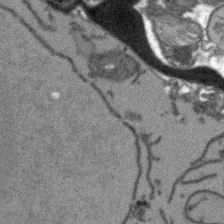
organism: Arabidopsis thaliana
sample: Root tip